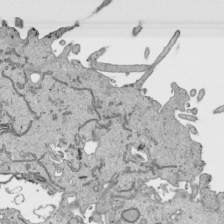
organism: Human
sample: Mitochondria in HCT116 cells